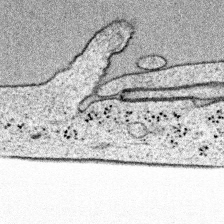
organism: Human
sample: HeLa cells